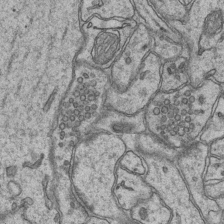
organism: Mouse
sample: CA1 Hippocampus